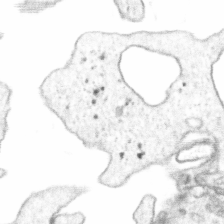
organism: Human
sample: HeLa cells